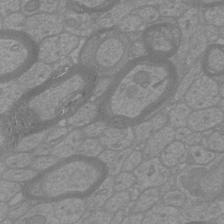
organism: Mouse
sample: Cortical neurons